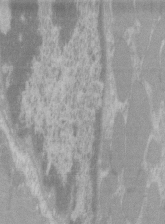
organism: C57BL Mouse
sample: Tibialis anterior muscle cell